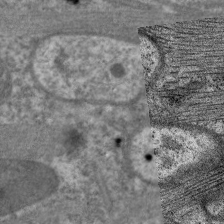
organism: C. elegans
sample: Pharynx